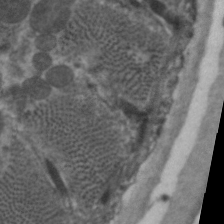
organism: C. elegans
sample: Pharynx